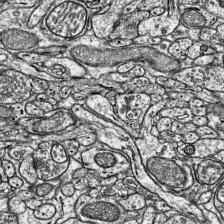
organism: Mouse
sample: Visual Cortex